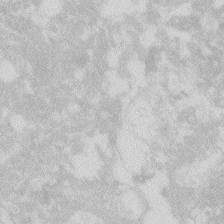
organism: Zebrafish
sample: Macrophage